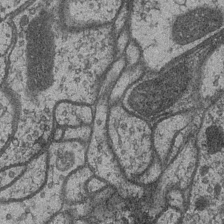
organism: Drosophila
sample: Optic medulla